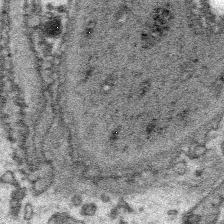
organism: Platynereis dumerilii